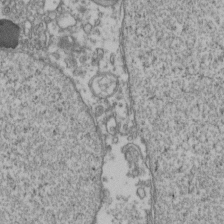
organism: Human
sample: Activated Jurkat CD4+ T cells